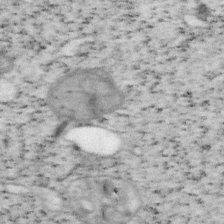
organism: Mouse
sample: OT-I killer T cells with ID8 ovarian cancer cells